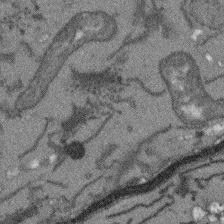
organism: Arabidopsis thaliana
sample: Root tip